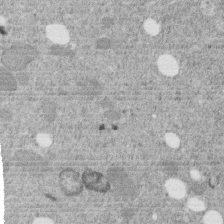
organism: C. elegans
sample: C. elegans embryo early stage